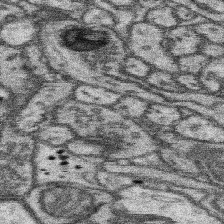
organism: Mouse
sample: Somatosensory cortex neuropil